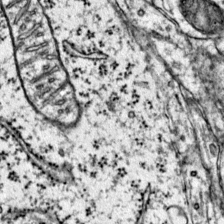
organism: Mouse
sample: Primary visual cortex